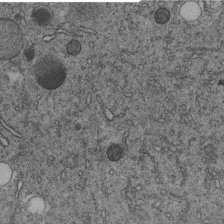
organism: C. elegans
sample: C. elegans embryo early stage